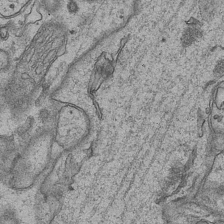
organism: Mouse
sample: CA1 Hippocampus